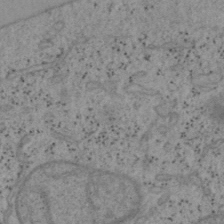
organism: Human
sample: HeLa cells